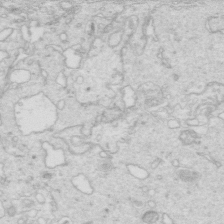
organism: Mouse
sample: Multiciliated cells